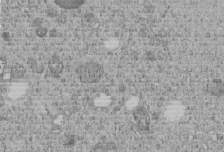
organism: C. elegans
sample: C. elegans embryo early stage